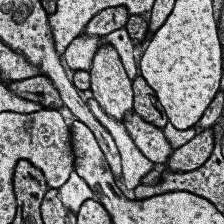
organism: Human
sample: Temporal Lobe